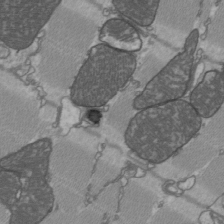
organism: C57BL Mouse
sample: Heart